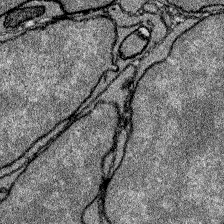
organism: Zebrafish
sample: Larval olfactory bulb